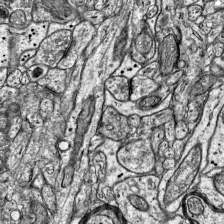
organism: Mouse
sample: Visual Cortex